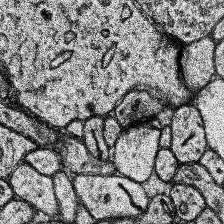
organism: Human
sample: Temporal Lobe